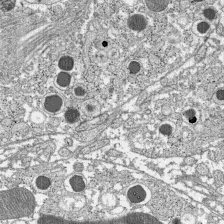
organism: C57BL Mouse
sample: Pancreatic islet